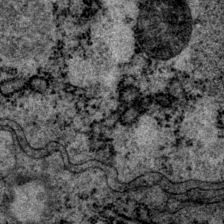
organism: P. pacificus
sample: Pharynx